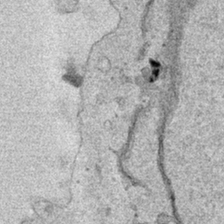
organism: Human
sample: Mitochondria in HCT116 cells